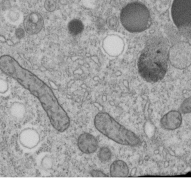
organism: C. elegans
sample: C. elegans embryo early stage